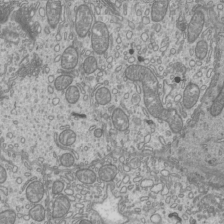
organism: Mouse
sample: Cilia; mouse epididymis